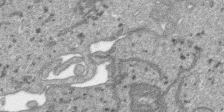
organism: Human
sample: Lung epithelial cells infected with SARS-CoV-2